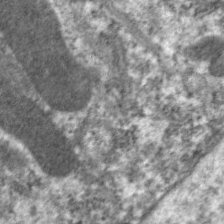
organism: C. elegans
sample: Pharynx